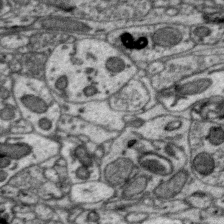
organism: Zebra finch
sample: Brain